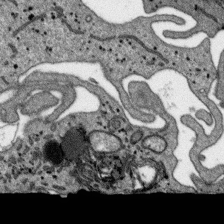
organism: Human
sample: Lung epithelial cells, uninfected (mock) control